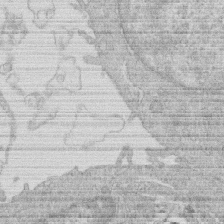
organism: Human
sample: Macrophage cells